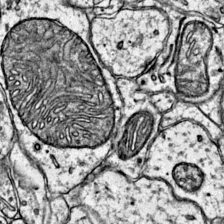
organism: Mouse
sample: Primary visual cortex